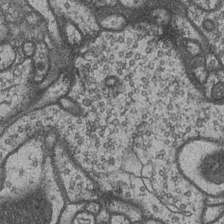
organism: Drosophila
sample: Optic medulla